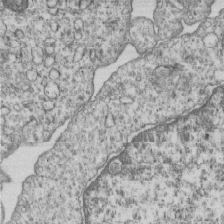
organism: Human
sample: MDA-MB-231 cells